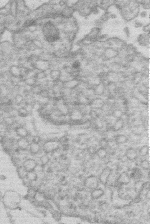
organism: Human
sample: Macrophage cells